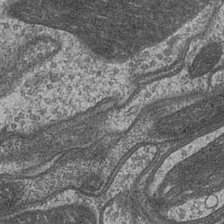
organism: Drosophila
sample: Optic medulla